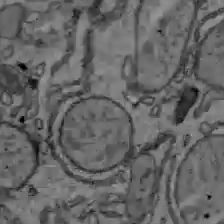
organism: C57BL Mouse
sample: Liver